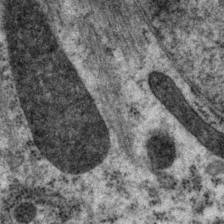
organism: P. pacificus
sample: Pharynx